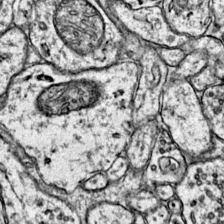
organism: Mouse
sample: Primary visual cortex